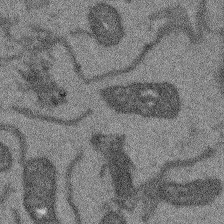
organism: Arabidopsis thaliana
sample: Root tip